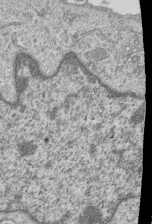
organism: Human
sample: MDA-MB-231 cells